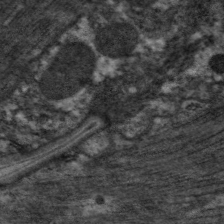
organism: C. elegans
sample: Pharynx